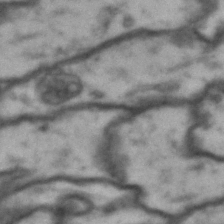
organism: Drosophila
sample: Brain